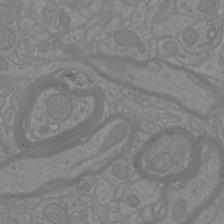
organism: Mouse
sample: Cortical neurons